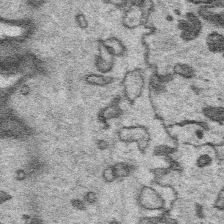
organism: Platynereis dumerilii